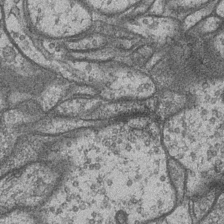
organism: Drosophila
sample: Optic medulla